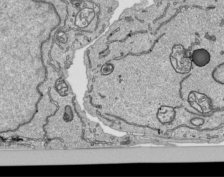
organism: Human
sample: Mitochondria in HCT116 cells